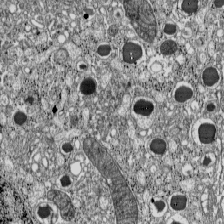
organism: C57BL Mouse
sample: Pancreatic islet